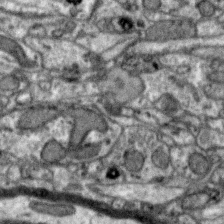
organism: Zebra finch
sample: Brain